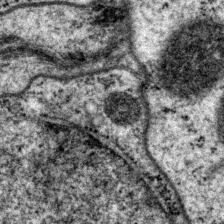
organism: P. pacificus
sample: Pharynx